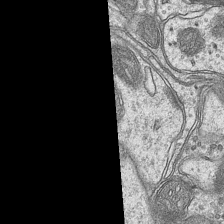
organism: Mouse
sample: CA1 Hippocampus